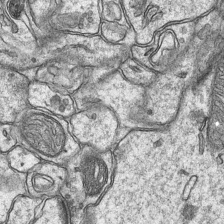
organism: Mouse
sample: CA1 Hippocampus